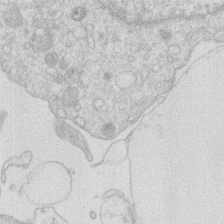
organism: Human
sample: Macrophage cells